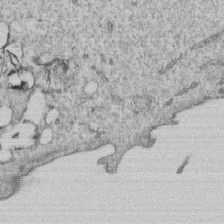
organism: Human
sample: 1205lu cells